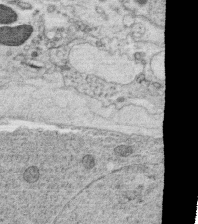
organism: C. elegans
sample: C. elegans oocyte; sperm cells